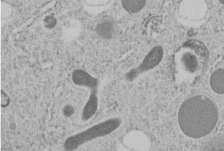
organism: C. elegans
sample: C. elegans embryo early stage